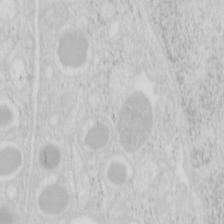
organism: Mouse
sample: Pancreas